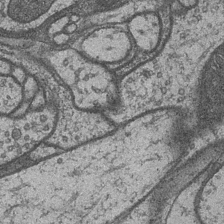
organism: Drosophila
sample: Optic medulla